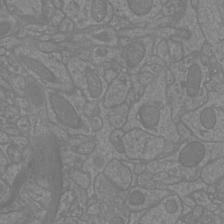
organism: Mouse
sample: Cortical neurons